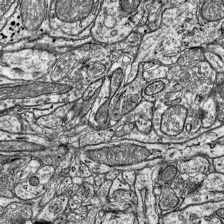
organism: Mouse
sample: Visual Cortex